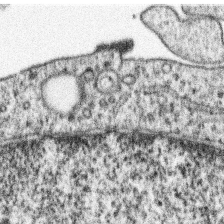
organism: Human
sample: HeLa cells